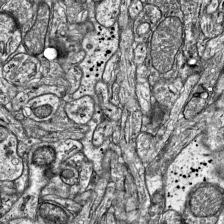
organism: Mouse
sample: Visual Cortex